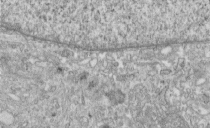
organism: Human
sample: Centriole in fibroblast cells